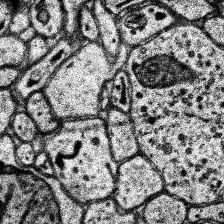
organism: Human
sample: Temporal Lobe